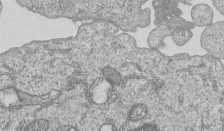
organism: Human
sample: MDA-MB-231 cells